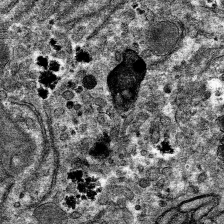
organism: Mouse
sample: Mouse hepatocytes